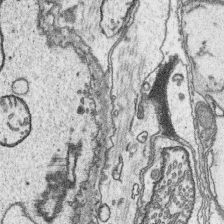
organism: Platynereis dumerilii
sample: Parapodia